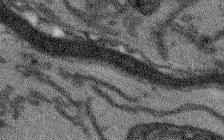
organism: Arabidopsis thaliana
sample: Root tip